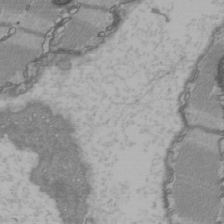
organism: C57BL Mouse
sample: Heart